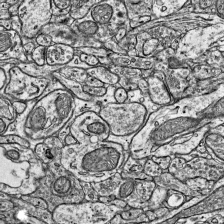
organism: Mouse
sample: Visual Cortex